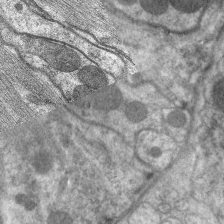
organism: C. elegans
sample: Pharynx